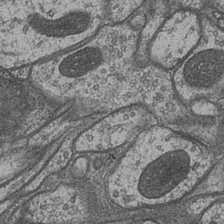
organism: Drosophila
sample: Optic medulla